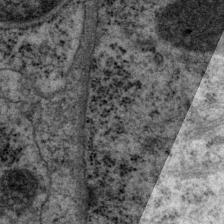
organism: P. pacificus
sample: Pharynx